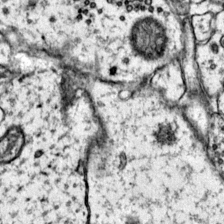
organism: Mouse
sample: Primary visual cortex